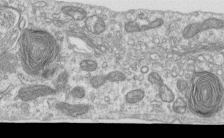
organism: Human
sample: Centriole in RPE cells